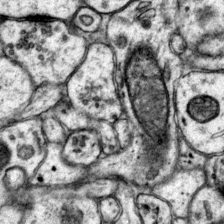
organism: Mouse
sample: Primary visual cortex